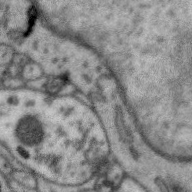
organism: Zebra finch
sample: Brain